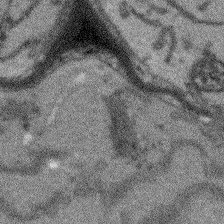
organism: Arabidopsis thaliana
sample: Root tip